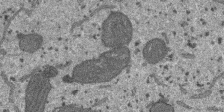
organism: Human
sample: Lung epithelial cells infected with SARS-CoV-2